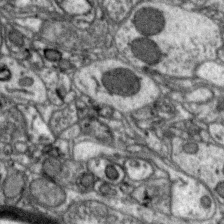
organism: Zebra finch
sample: Brain